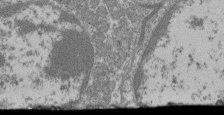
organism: Mouse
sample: Glomerulus